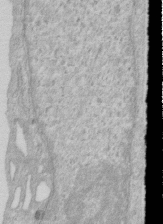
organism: Human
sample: Centriole in RPE cells